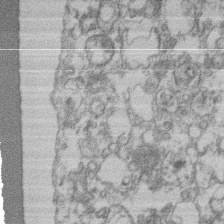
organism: Mouse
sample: T cell stromal cell synapse